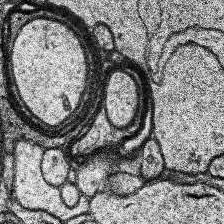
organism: Human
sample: Temporal Lobe